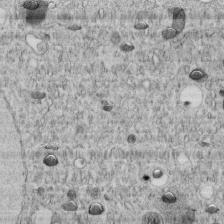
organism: C. elegans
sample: C. elegans embryo early stage